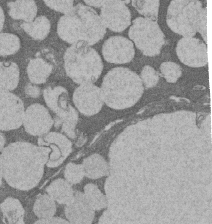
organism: Rat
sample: Salivary granule